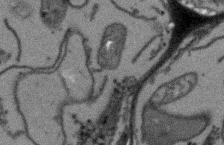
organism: Arabidopsis thaliana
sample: Root tip